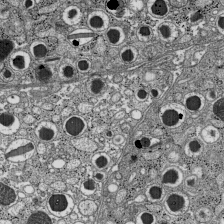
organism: C57BL Mouse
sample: Pancreatic islet